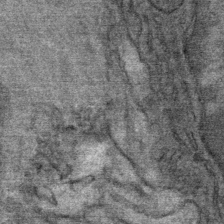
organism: Mouse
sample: Mouse Salivary gland